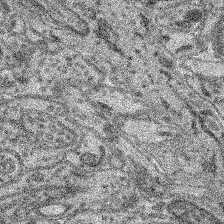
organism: Mouse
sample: Retina